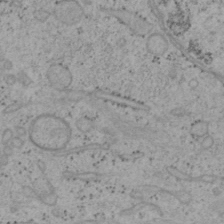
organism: Human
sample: HeLa cells